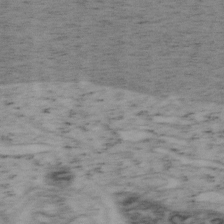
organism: Mouse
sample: OT-I killer T cells with ID8 ovarian cancer cells